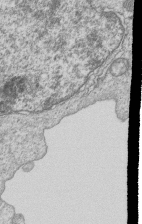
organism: Human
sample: MDA-MB-231 cells